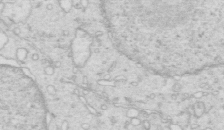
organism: Mouse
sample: Multiciliated cells